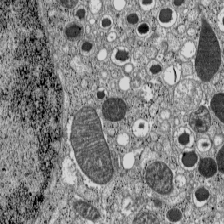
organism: C57BL Mouse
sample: Pancreatic islet